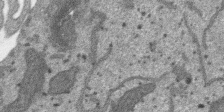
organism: Human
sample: Lung epithelial cells infected with SARS-CoV-2